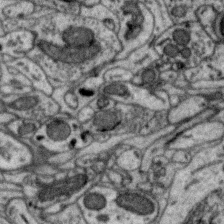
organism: Zebra finch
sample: Brain